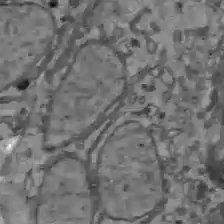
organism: C57BL Mouse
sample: Liver